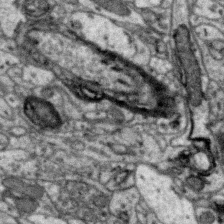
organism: Zebra finch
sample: Brain